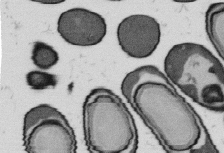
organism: B. subtilis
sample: Bacterial spore